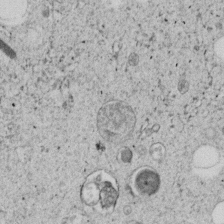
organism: C. elegans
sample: C. elegans embryo early stage